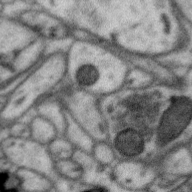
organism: Zebra finch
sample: Brain